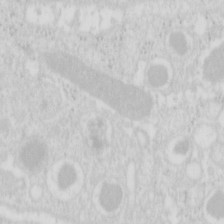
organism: Mouse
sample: Pancreas